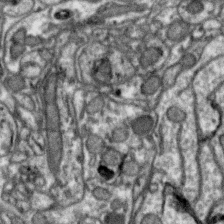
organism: Zebra finch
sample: Brain